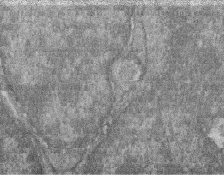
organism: Zebrafish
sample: Cilia; retinal pigment epithelium